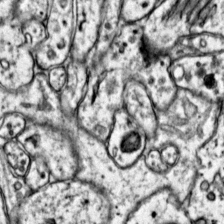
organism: Mouse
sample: Primary visual cortex